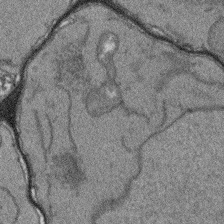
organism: Arabidopsis thaliana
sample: Root tip